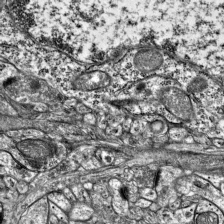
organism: Mouse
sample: Visual Cortex